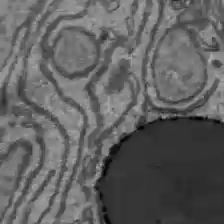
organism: C57BL Mouse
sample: Liver